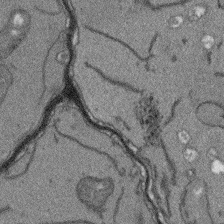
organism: Arabidopsis thaliana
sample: Root tip